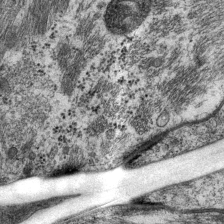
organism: P. pacificus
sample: Pharynx